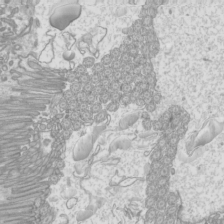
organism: Mouse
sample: Cilia; mouse epididymis